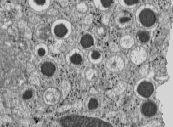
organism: C57BL Mouse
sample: Pancreatic islet